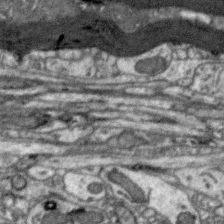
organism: Zebra finch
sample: Brain